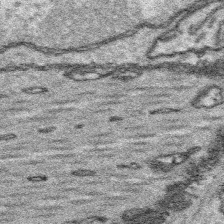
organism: Platynereis dumerilii